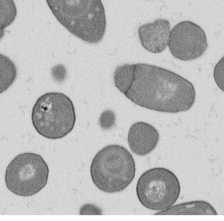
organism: B. subtilis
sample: Bacterial spore